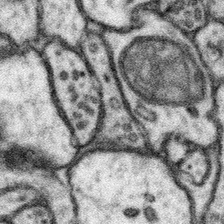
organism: Mouse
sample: Somatosensory cortex neuropil